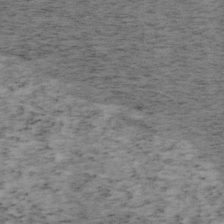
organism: Mouse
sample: OT-I killer T cells with ID8 ovarian cancer cells